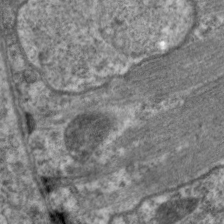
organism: C. elegans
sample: Pharynx